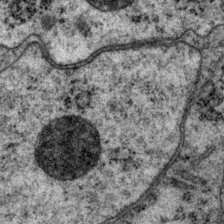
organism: P. pacificus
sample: Pharynx